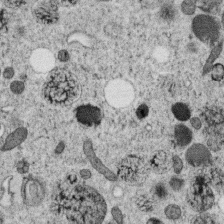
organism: C. elegans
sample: C. elegans oocyte; sperm cells